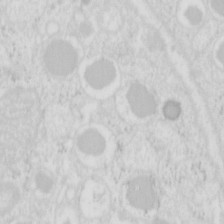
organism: Mouse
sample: Pancreas